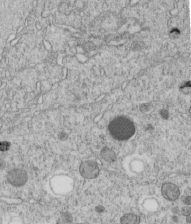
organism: C. elegans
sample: C. elegans embryo early stage